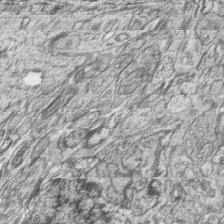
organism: Zebrafish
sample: synaptic ribbons in rod cells and cone cells